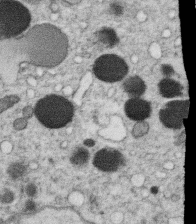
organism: C. elegans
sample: C. elegans oocyte; sperm cells